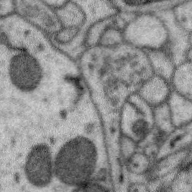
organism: Zebra finch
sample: Brain